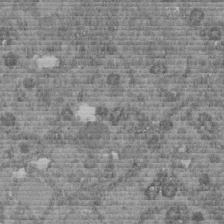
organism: C. elegans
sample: C. elegans embryo early stage